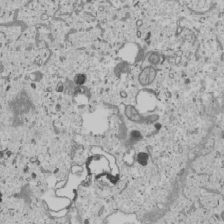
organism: Human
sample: Mitochondria in U2OS cells